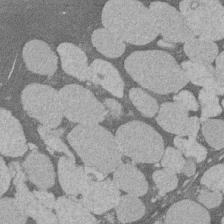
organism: Rat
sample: Salivary granule